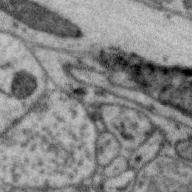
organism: Zebra finch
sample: Brain